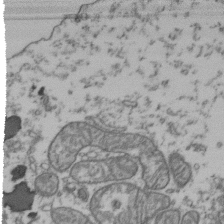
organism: Human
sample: Activated Jurkat CD4+ T cells